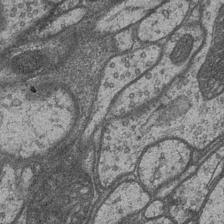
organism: Drosophila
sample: Optic medulla